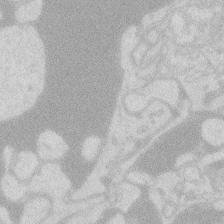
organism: Zebrafish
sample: Macrophage